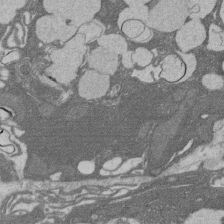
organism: Rat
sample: Salivary granule